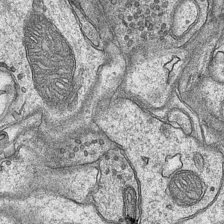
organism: Mouse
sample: CA1 Hippocampus